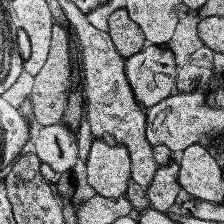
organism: Human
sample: Temporal Lobe